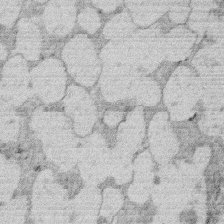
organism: Rat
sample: Salivary granule